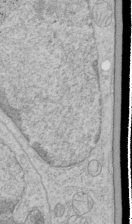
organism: Human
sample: Mitochondria in HCT116 cells